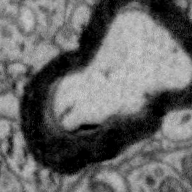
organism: Zebra finch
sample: Brain